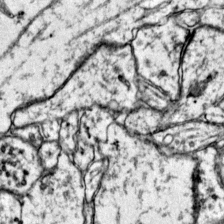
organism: Mouse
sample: Primary visual cortex